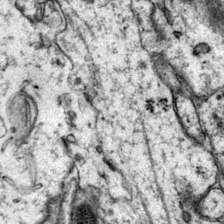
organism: Mouse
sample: Primary visual cortex